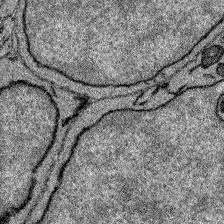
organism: Zebrafish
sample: Larval olfactory bulb